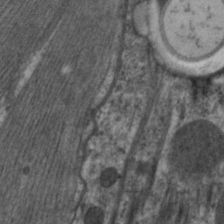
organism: C. elegans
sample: Pharynx